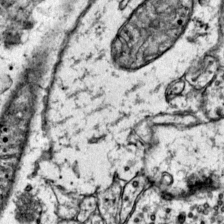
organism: Mouse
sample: Primary visual cortex